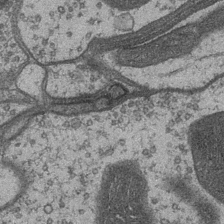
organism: Drosophila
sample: Optic medulla